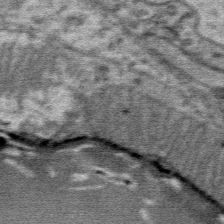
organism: Mouse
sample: Mouse Salivary gland